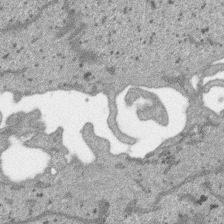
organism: Human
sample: Lung epithelial cells infected with SARS-CoV-2